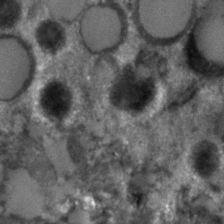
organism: C. elegans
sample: C. elegans embryo